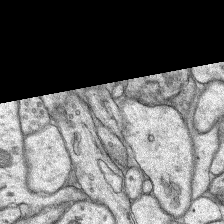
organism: Rat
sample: Hippocampus